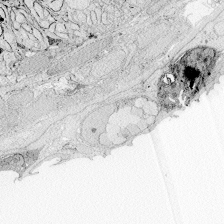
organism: Zebrafish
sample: Whole-Brain